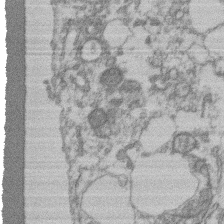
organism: Mouse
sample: T cell stromal cell synapse